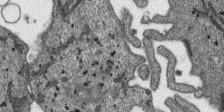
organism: Human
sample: Lung epithelial cells infected with SARS-CoV-2